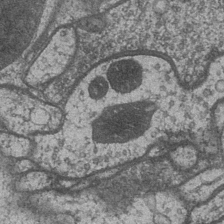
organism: Drosophila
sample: Optic medulla